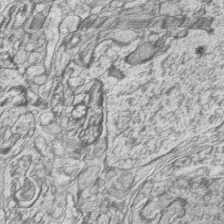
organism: Zebrafish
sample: synaptic ribbons in rod cells and cone cells